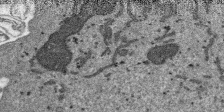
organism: Human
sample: Lung epithelial cells infected with SARS-CoV-2